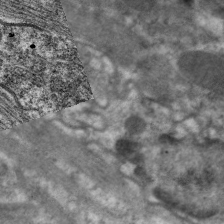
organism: C. elegans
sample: Pharynx